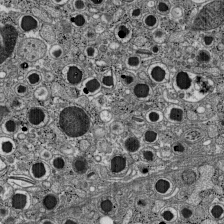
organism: C57BL Mouse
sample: Pancreatic islet